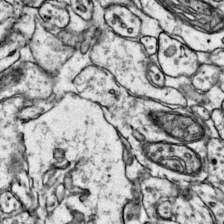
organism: Mouse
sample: Primary visual cortex